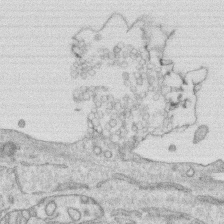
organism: Human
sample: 1205lu cells